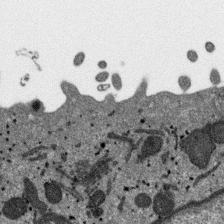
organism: Human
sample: Lung epithelial cells, uninfected (mock) control